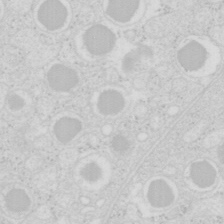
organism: Mouse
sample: Pancreas